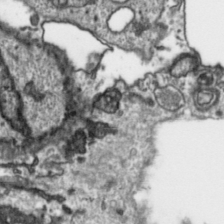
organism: Toxoplasma gondii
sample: Parasites in a vacuole inside a host cell